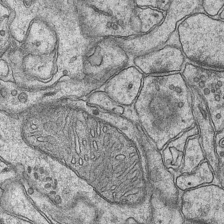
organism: Mouse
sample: CA1 Hippocampus